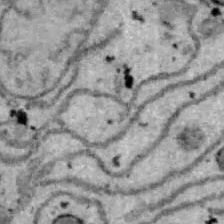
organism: Mouse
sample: Liver from an obese (ob/ob) mouse